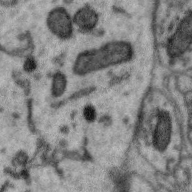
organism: Zebra finch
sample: Brain